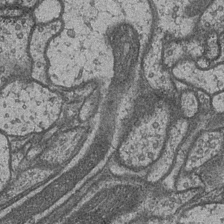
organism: Drosophila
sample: Optic medulla